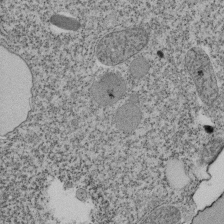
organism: Tetrahymena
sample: Cilia in tetrahymena